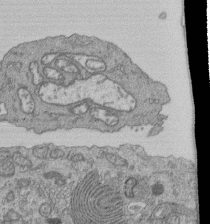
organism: Human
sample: Retinal organoid Rod and Cone cells